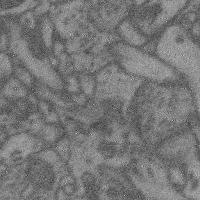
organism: Mouse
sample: Cerebral cortex